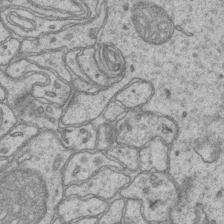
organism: Mouse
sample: CA1 Hippocampus